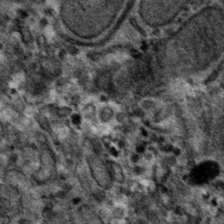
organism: Mouse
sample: Mouse hepatocytes